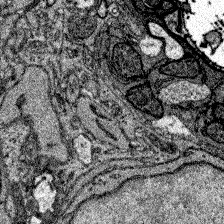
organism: Zebrafish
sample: Larval olfactory bulb